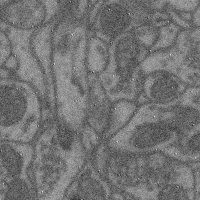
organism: Mouse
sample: Cerebral cortex